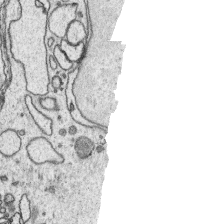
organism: Platynereis dumerilii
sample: Parapodia